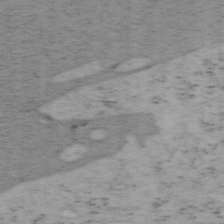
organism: Mouse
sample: OT-I killer T cells with ID8 ovarian cancer cells